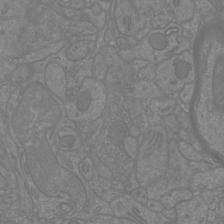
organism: Mouse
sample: Cortical neurons